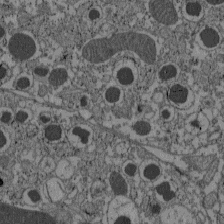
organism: C57BL Mouse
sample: Pancreatic islet